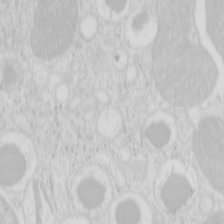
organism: Mouse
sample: Pancreas